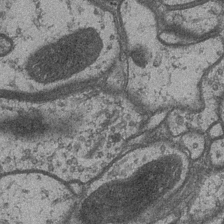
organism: Drosophila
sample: Optic medulla